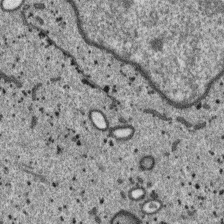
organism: Human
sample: Lung epithelial cells infected with SARS-CoV-2